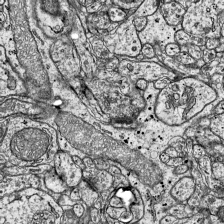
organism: Mouse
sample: Visual Cortex